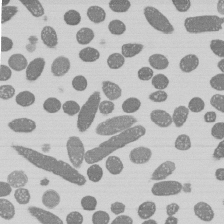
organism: E. coli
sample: Bacterial nucleoid